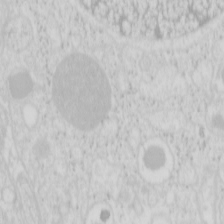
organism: Mouse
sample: Pancreas